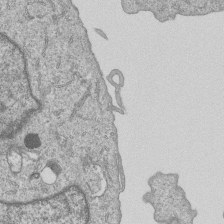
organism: Human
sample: MDA-MB-231 cells